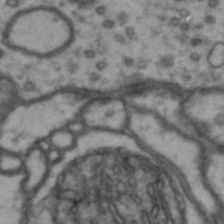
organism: Drosophila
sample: Brain